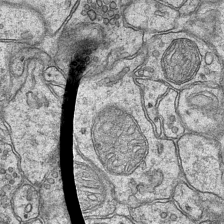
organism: Mouse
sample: CA1 Hippocampus